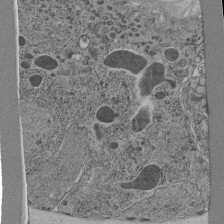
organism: C. elegans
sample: C. elegans pharynx